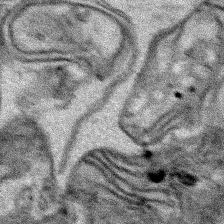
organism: Human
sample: Mitochondria in HCT116 cells